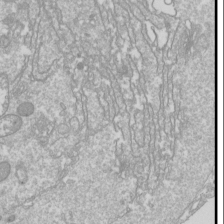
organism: Drosophila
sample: Cell division; meiosis; drosophila spermatocytes